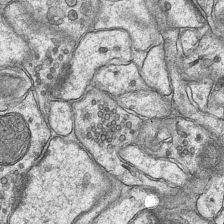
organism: Mouse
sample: CA1 Hippocampus